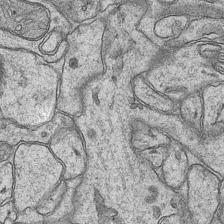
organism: Mouse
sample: CA1 Hippocampus